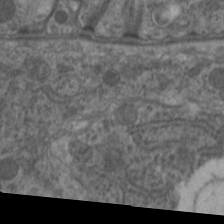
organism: C. elegans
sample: Pharynx